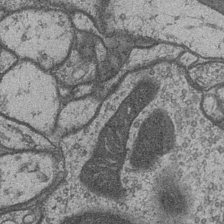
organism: Drosophila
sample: Optic medulla